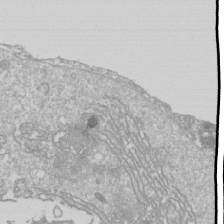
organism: Drosophila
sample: Cell division; meiosis; drosophila spermatocytes